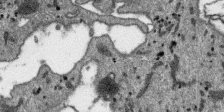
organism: Human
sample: Lung epithelial cells, uninfected (mock) control